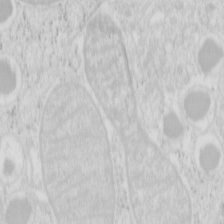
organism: Mouse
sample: Pancreas